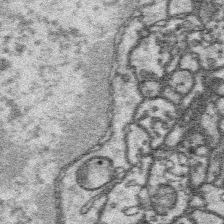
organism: Platynereis dumerilii